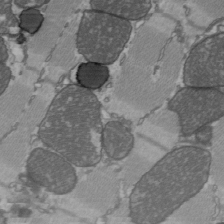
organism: C57BL Mouse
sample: Heart